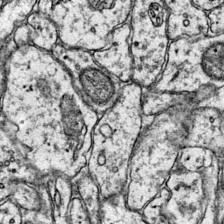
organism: Mouse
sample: Primary visual cortex